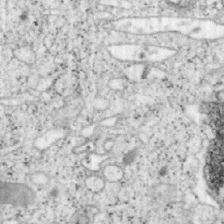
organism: Mouse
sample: OT-I killer T cells with ID8 ovarian cancer cells